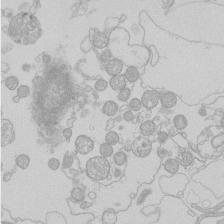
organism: Human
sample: Macrophage cells